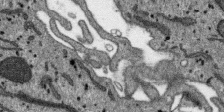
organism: Human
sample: Lung epithelial cells, uninfected (mock) control